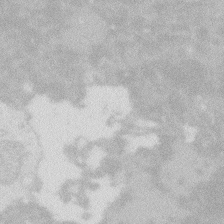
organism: Zebrafish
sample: Macrophage